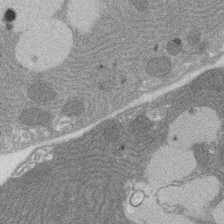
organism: Rat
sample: Salivary granule